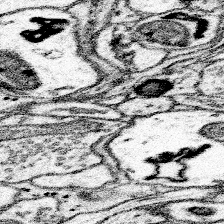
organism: Mouse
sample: Somatosensory cortex neuropil